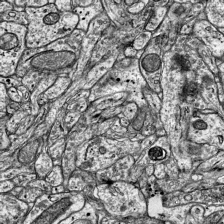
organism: Mouse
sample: Visual Cortex